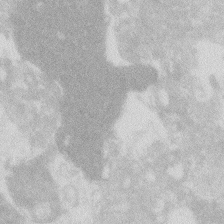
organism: Zebrafish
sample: Macrophage